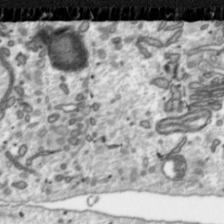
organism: Toxoplasma gondii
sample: Parasites in a vacuole inside a host cell